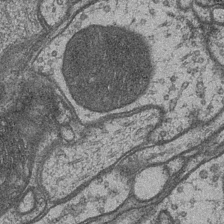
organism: Drosophila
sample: Optic medulla